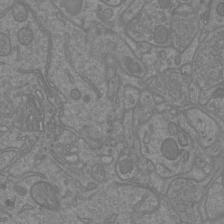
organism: Mouse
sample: Cortical neurons